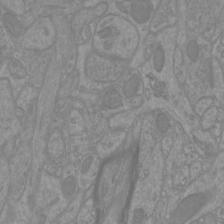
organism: Mouse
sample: Cortical neurons